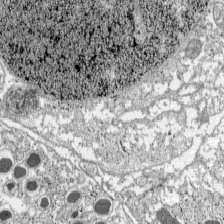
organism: C57BL Mouse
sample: Pancreatic islet